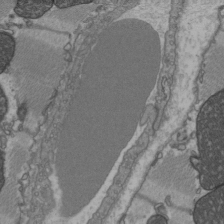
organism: C57BL Mouse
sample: Heart